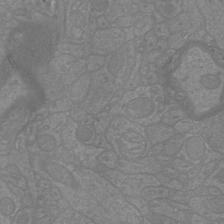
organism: Mouse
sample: Cortical neurons